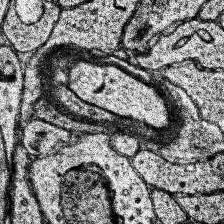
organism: Human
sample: Temporal Lobe